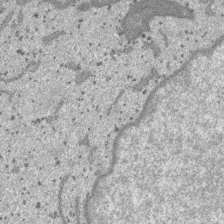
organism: Human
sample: Lung epithelial cells infected with SARS-CoV-2